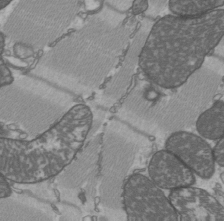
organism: C57BL Mouse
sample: Heart